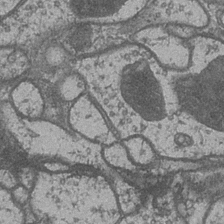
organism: Drosophila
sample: Optic medulla